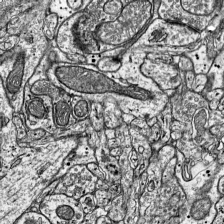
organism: Mouse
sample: Visual Cortex